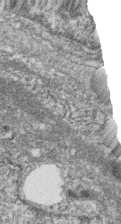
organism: Zebrafish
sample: Cilia; retinal pigment epithelium